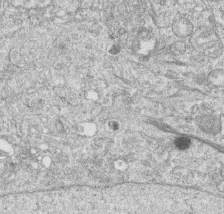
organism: Human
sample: HeLa cell HIV synapse